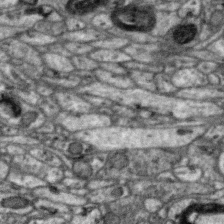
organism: Zebra finch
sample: Brain